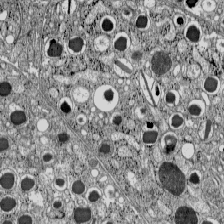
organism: C57BL Mouse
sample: Pancreatic islet